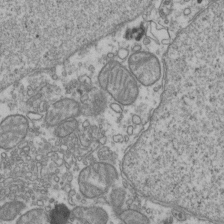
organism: Human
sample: Activated Jurkat CD4+ T cells